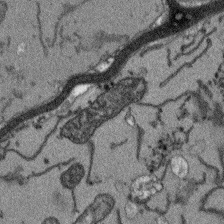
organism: Arabidopsis thaliana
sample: Root tip